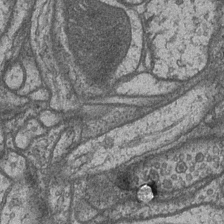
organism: Drosophila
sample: Optic medulla